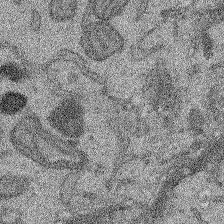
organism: Human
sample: HeLa cells